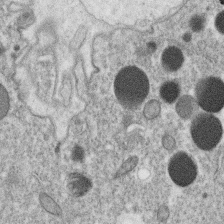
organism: C. elegans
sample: C. elegans oocyte; sperm cells